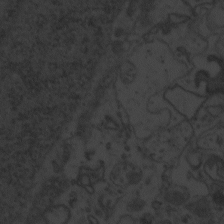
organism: Zebrafish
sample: Macrophage infected with Toxoplasma gondii